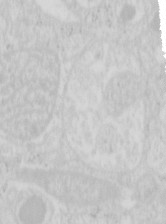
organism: Mouse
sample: Pancreas